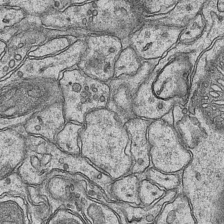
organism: Mouse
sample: CA1 Hippocampus